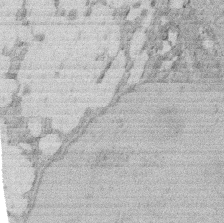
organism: Rat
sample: Salivary granule